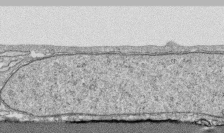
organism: Human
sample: CRL-1474